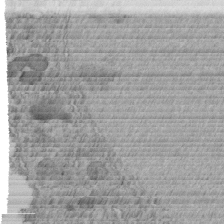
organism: C. elegans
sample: C. elegans embryo early stage